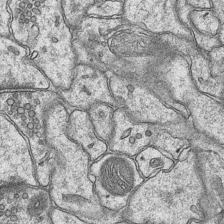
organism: Mouse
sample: CA1 Hippocampus